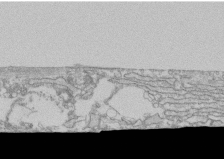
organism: Human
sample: CRL-1474